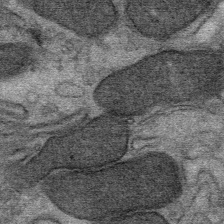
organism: Mouse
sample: Mouse Salivary gland